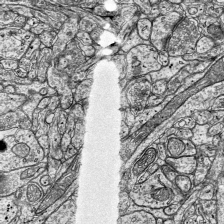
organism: Mouse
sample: Visual Cortex